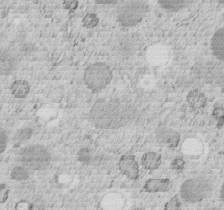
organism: C. elegans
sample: C. elegans embryo early stage